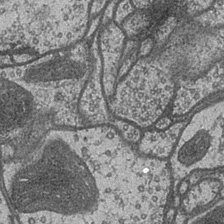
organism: Drosophila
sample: Optic medulla